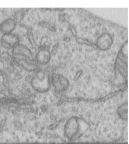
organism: Human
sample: Centriole in RPE cells